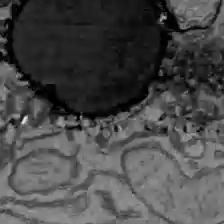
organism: C57BL Mouse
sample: Liver